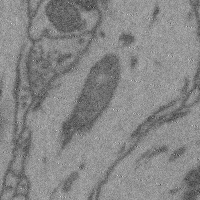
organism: Mouse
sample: Cerebral cortex